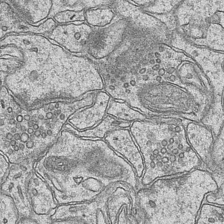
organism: Mouse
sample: CA1 Hippocampus